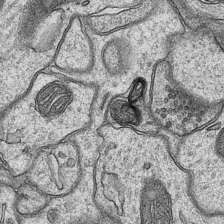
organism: Mouse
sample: CA1 Hippocampus